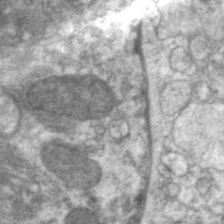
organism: C. elegans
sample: Pharynx